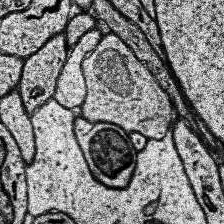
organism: Human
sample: Temporal Lobe